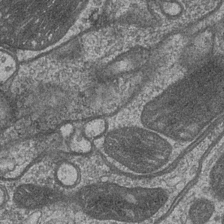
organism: Drosophila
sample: Optic medulla